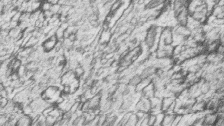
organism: Zebrafish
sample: synaptic ribbons in rod cells and cone cells